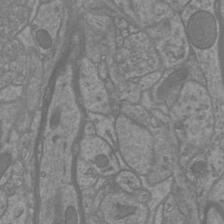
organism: Mouse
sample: Cortical neurons